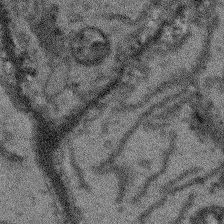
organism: Arabidopsis thaliana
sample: Root tip